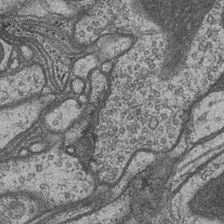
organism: Drosophila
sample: Optic medulla